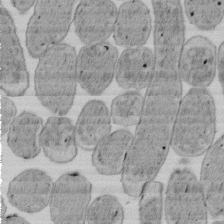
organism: E. coli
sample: Bacterial nucleoid